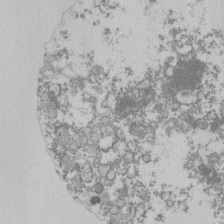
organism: Mouse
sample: Activated Pmel transgenic CD8+ T Cells